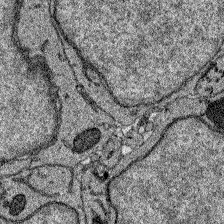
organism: Zebrafish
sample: Larval olfactory bulb